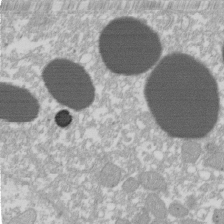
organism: Xenopus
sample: Cilia; centrioles in frog embryo cells